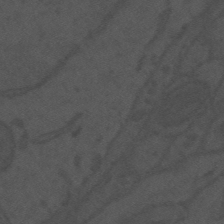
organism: Mouse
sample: Suprachiasmatic nucleus